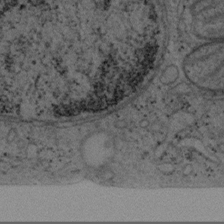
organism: Human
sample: HeLa cells